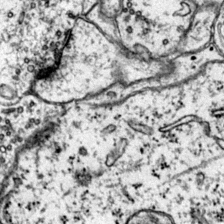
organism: Mouse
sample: Primary visual cortex